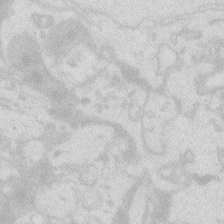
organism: Zebrafish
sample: Macrophage